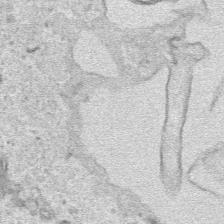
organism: Human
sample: Mitochondria in HCT116 cells